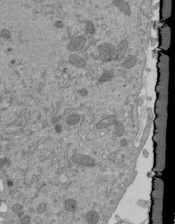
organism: Mouse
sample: ED-1 cell nuclei; centrioles